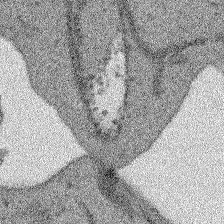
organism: Human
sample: HeLa cells